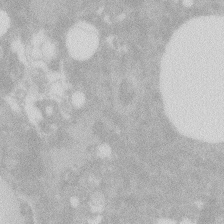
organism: Zebrafish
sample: Macrophage